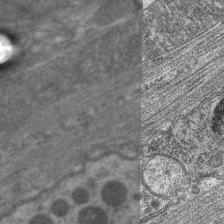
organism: C. elegans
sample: Pharynx